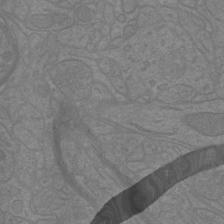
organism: Mouse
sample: Cortical neurons